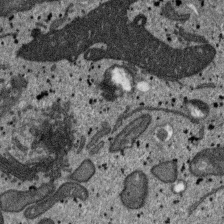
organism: Human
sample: Lung epithelial cells, uninfected (mock) control